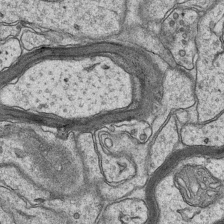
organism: Mouse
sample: CA1 Hippocampus